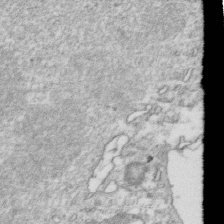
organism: Mouse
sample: Activated OT-1 CD8+ T cells